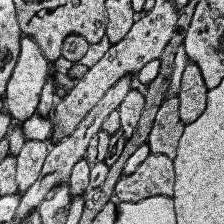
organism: Human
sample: Temporal Lobe